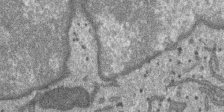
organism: Human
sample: Lung epithelial cells infected with SARS-CoV-2